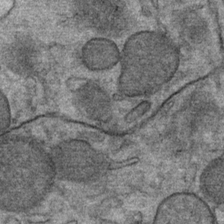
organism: Mouse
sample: Mouse Salivary gland